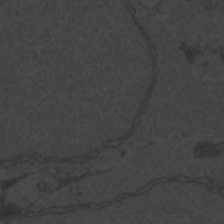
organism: Zebrafish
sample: Macrophage infected with Toxoplasma gondii